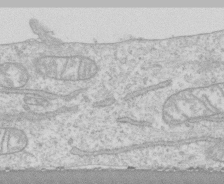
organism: Human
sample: CRL-1474